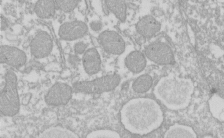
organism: Xenopus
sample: Cilia; centrioles in frog embryo cells